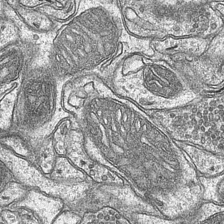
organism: Mouse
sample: CA1 Hippocampus